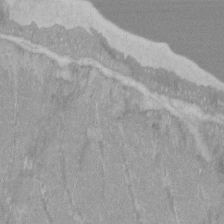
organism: C57BL Mouse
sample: Tibialis anterior muscle cell